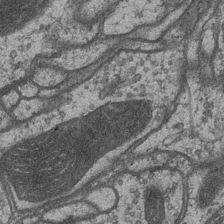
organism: Drosophila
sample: Optic medulla